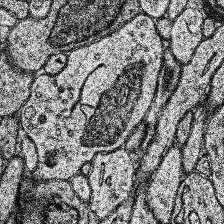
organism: Human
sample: Temporal Lobe